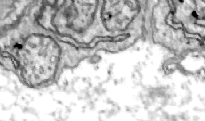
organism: Zebrafish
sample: Actinotrichia fibers